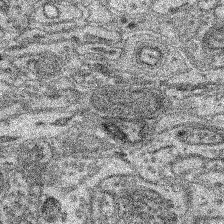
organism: Mouse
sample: Retina